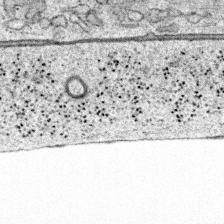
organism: Human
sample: HeLa cells